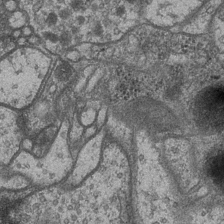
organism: Drosophila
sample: Optic medulla